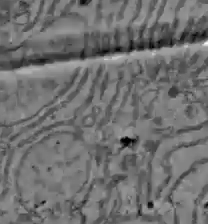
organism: C57BL Mouse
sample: Liver